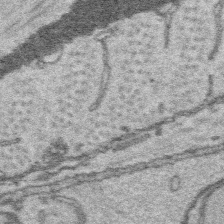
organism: Platynereis dumerilii